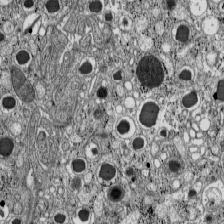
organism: C57BL Mouse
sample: Pancreatic islet